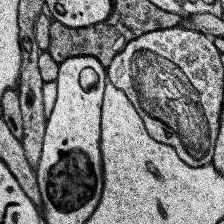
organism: Human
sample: Temporal Lobe